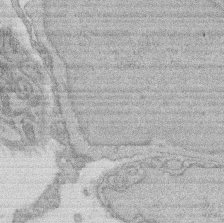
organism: Rat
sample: Salivary granule